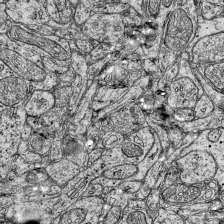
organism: Mouse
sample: Visual Cortex